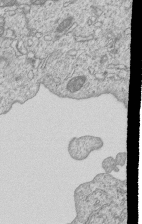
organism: Human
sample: MDA-MB-231 cells